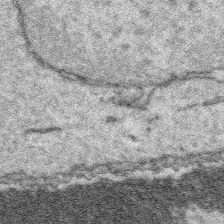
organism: Platynereis dumerilii